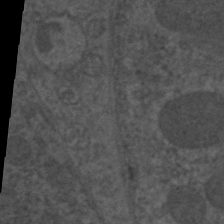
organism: C. elegans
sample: Pharynx